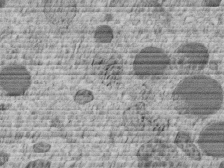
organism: C. elegans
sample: C. elegans embryo early stage